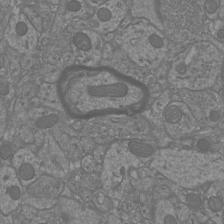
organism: Mouse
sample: Cortical neurons